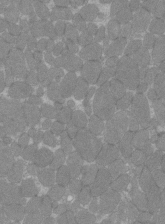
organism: C57BL Mouse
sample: Tibialis anterior muscle cell